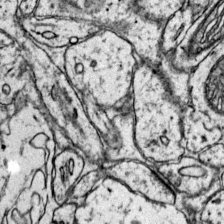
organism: Mouse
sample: Primary visual cortex